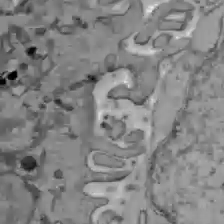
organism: C57BL Mouse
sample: Liver